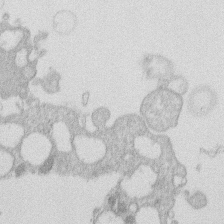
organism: Human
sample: Macrophage cells